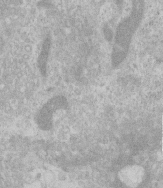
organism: Human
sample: Centriole in RPE cells